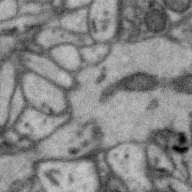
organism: Zebra finch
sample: Brain